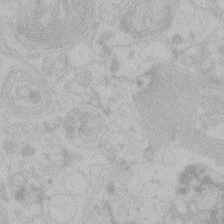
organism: Zebrafish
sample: Macrophage infected with Toxoplasma gondii